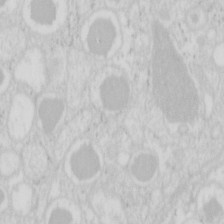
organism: Mouse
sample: Pancreas